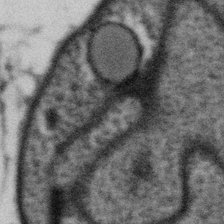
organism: Gemmata obscuriglobus